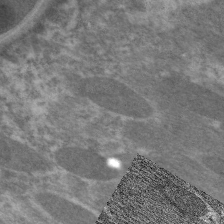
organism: C. elegans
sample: Pharynx